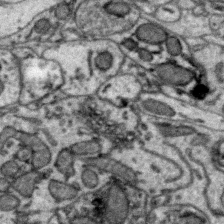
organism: Zebra finch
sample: Brain